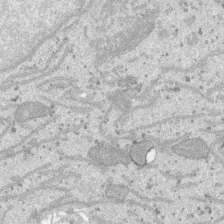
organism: Human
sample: Lung epithelial cells infected with SARS-CoV-2